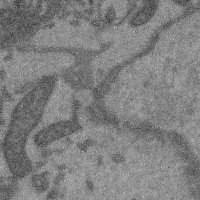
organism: Mouse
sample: Cerebral cortex